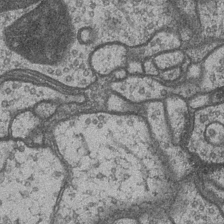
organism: Drosophila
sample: Optic medulla